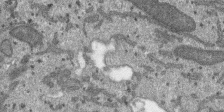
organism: Human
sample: Lung epithelial cells infected with SARS-CoV-2